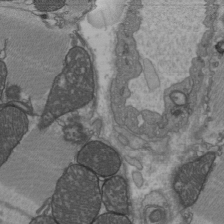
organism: C57BL Mouse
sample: Heart